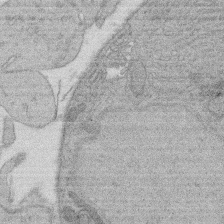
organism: Rat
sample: Salivary granule